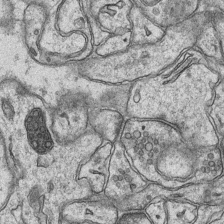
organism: Mouse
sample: CA1 Hippocampus